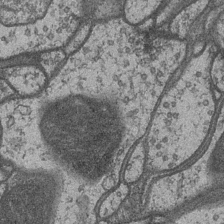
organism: Drosophila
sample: Optic medulla